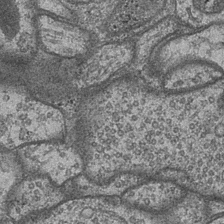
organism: Drosophila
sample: Optic medulla